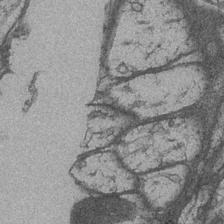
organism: Drosophila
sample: Optic medulla